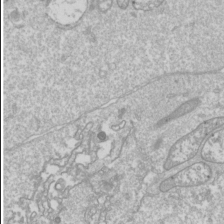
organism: Drosophila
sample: Cell division; meiosis; drosophila spermatocytes